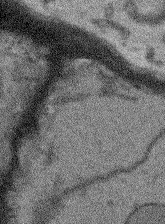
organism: Arabidopsis thaliana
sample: Root tip